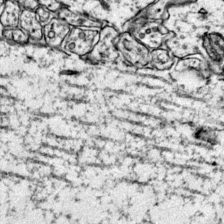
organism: Mouse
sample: Primary visual cortex